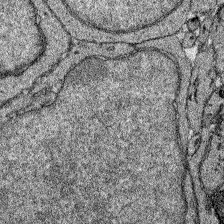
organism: Zebrafish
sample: Larval olfactory bulb